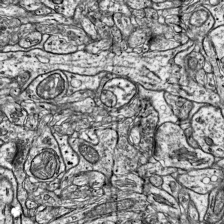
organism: Mouse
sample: Visual Cortex